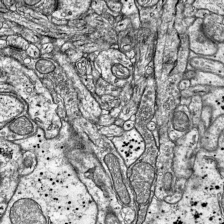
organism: Mouse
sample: Visual Cortex